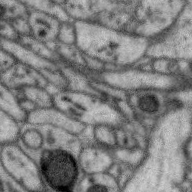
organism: Zebra finch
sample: Brain